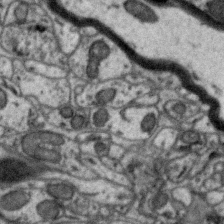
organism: Zebra finch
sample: Brain